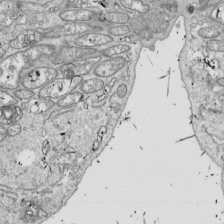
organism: Drosophila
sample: Cell division; meiosis; drosophila spermatocytes